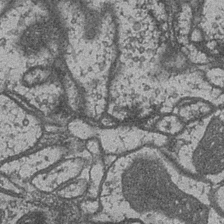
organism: Drosophila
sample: Optic medulla